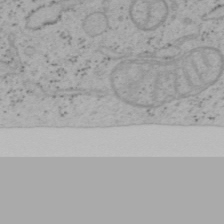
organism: Human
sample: HeLa cells